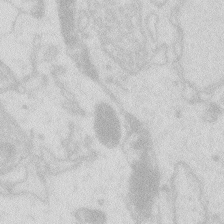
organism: Zebrafish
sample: Macrophage